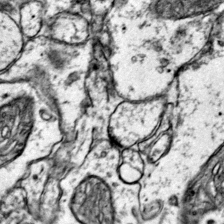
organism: Mouse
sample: Primary visual cortex